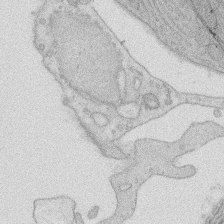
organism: Rat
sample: Salivary granule